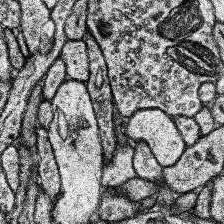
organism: Human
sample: Temporal Lobe